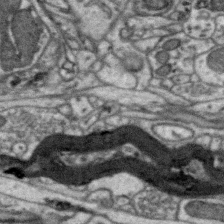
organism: Zebra finch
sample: Brain